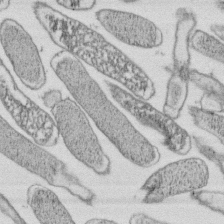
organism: E. coli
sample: Bacterial nucleoid